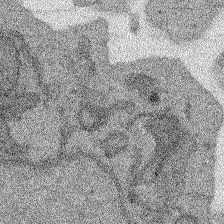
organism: Human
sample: HeLa cells